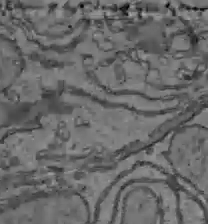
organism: C57BL Mouse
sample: Liver